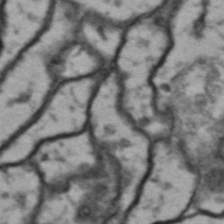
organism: Drosophila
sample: Brain